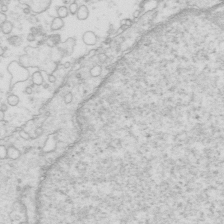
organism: Mouse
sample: Multiciliated cells